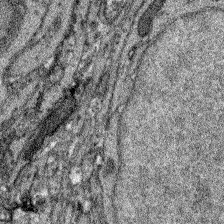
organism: Zebrafish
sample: Larval olfactory bulb